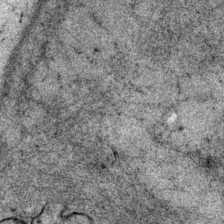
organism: P. pacificus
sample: Pharynx